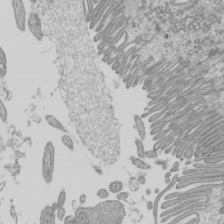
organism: Mouse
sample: Cilia; mouse epididymis